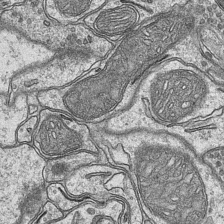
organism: Mouse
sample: CA1 Hippocampus